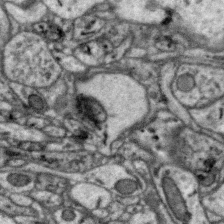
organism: Zebra finch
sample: Brain